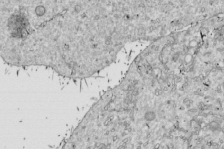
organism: Drosophila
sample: Cell division; meiosis; drosophila spermatocytes